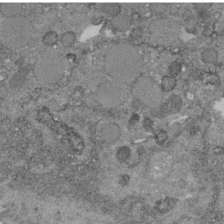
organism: C. elegans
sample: C. elegans embryo early stage